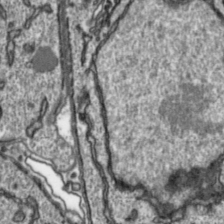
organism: Toxoplasma gondii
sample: Parasites in a vacuole inside a host cell